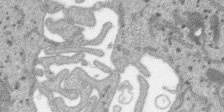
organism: Human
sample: Lung epithelial cells infected with SARS-CoV-2